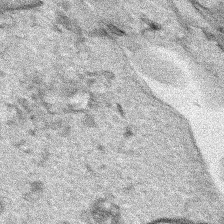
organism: Human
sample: Mitochondria in HCT116 cells